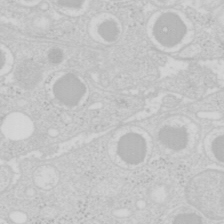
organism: Mouse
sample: Pancreas